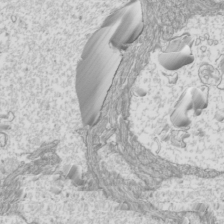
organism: Mouse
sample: Cilia; mouse epididymis